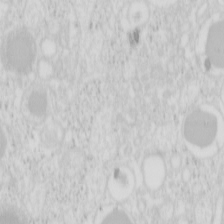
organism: Mouse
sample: Pancreas